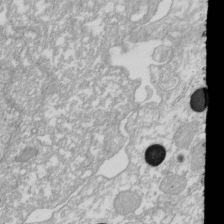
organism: Xenopus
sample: Cilia; centrioles in frog embryo cells